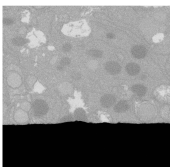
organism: C. elegans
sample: C. elegans oocyte; sperm cells